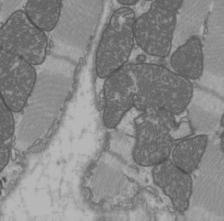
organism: C57BL Mouse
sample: Heart